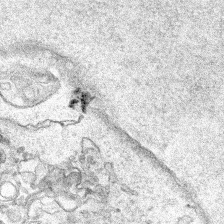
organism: Human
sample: Mitochondria in HCT116 cells